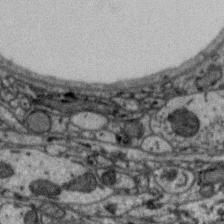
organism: Zebra finch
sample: Brain